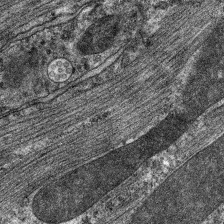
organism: C. elegans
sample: Pharynx